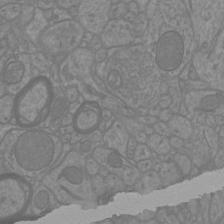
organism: Mouse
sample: Cortical neurons